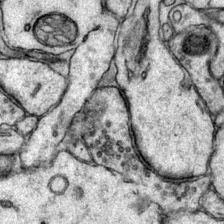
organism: Mouse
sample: Primary visual cortex